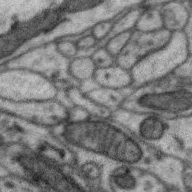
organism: Zebra finch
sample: Brain